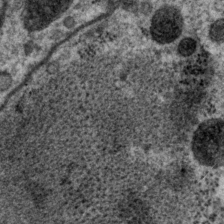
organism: P. pacificus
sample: Pharynx